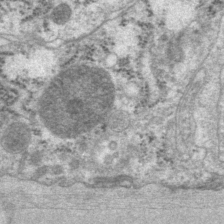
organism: P. pacificus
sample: Pharynx